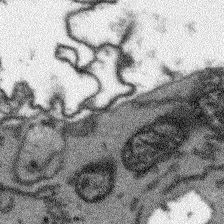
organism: Arabidopsis thaliana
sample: Root tip